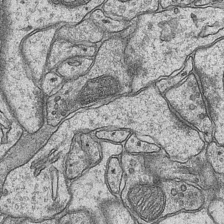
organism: Mouse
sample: CA1 Hippocampus